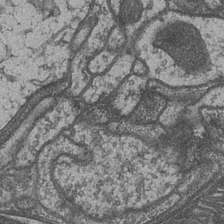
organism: Drosophila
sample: Optic medulla